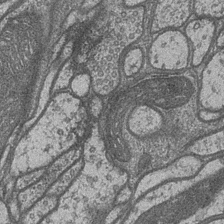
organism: Drosophila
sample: Optic medulla